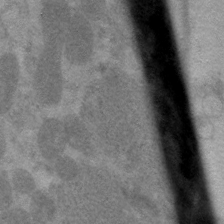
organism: C. elegans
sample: Pharynx